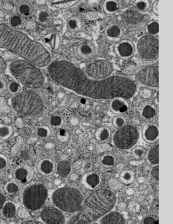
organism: C57BL Mouse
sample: Pancreatic islet